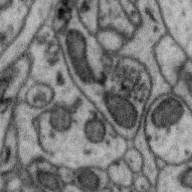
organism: Zebra finch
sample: Brain